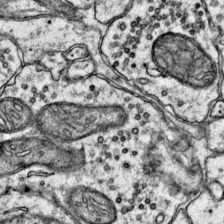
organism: Mouse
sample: Primary visual cortex